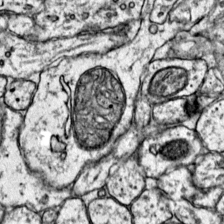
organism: Mouse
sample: Primary visual cortex